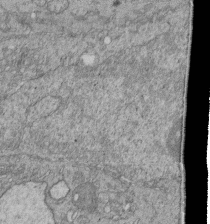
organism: Human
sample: Retinal organoid Rod and Cone cells